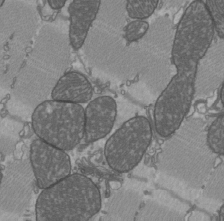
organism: C57BL Mouse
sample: Heart